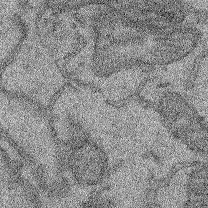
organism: Human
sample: HeLa cells